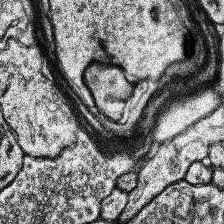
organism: Human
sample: Temporal Lobe